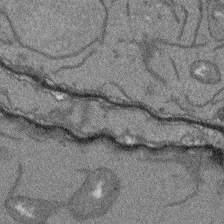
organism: Arabidopsis thaliana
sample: Root tip